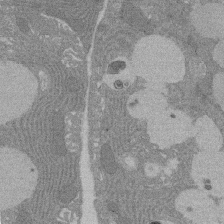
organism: Rat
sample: Salivary granule